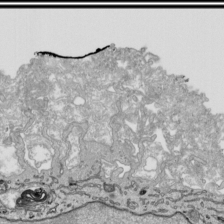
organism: Human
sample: Mitochondria in HCT116 cells